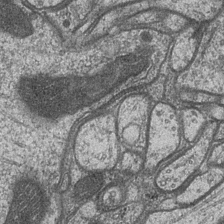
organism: Drosophila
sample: Optic medulla